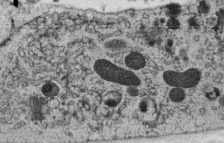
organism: C. elegans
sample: C. elegans oocyte; sperm cells